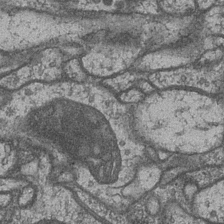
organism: Drosophila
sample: Optic medulla